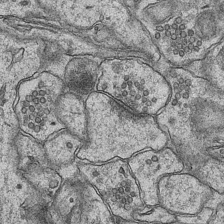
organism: Mouse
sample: CA1 Hippocampus